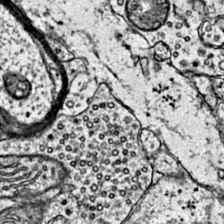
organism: Mouse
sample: Primary visual cortex